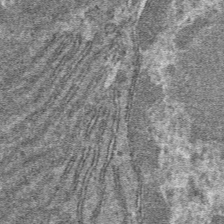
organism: Mouse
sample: Mouse hepatocytes